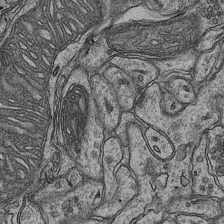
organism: Mouse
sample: CA1 Hippocampus